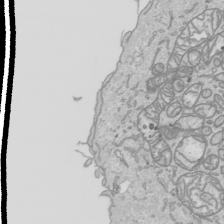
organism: Human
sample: Mitochondria in HCT116 cells